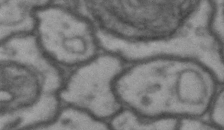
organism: Drosophila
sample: Brain